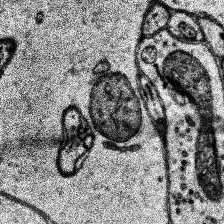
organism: Human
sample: Temporal Lobe